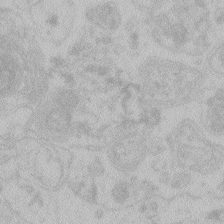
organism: Zebrafish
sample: Macrophage infected with Toxoplasma gondii